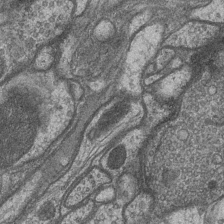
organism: Drosophila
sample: Optic medulla